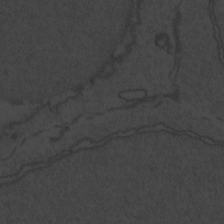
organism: Zebrafish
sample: Macrophage infected with Toxoplasma gondii